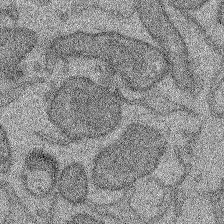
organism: Human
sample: HeLa cells